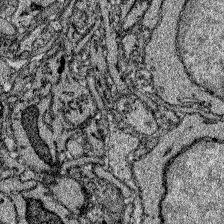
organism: Zebrafish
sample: Larval olfactory bulb